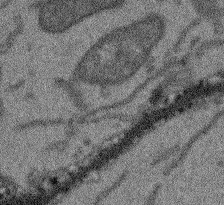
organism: Arabidopsis thaliana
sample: Root tip